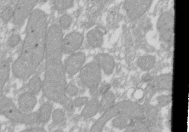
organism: Xenopus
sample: Cilia; centrioles in frog embryo cells